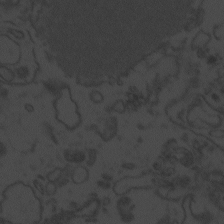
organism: Zebrafish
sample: Macrophage infected with Toxoplasma gondii